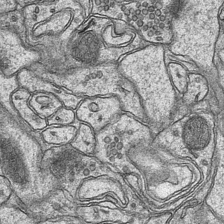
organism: Mouse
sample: CA1 Hippocampus